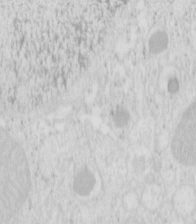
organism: Mouse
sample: Pancreas